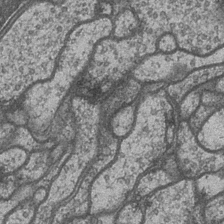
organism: Drosophila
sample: Optic medulla